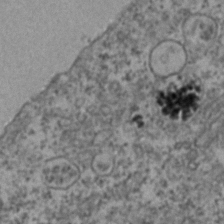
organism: Zebrafish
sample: Zebrafish embryo